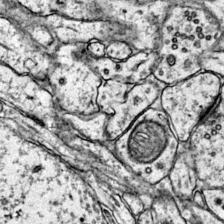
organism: Mouse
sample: Primary visual cortex